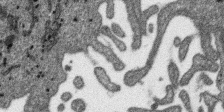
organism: Human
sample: Lung epithelial cells infected with SARS-CoV-2